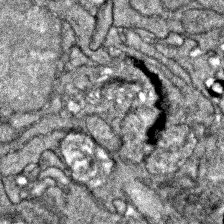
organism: Zebrafish